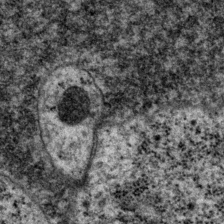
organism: P. pacificus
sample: Pharynx